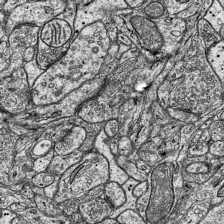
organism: Mouse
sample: Visual Cortex